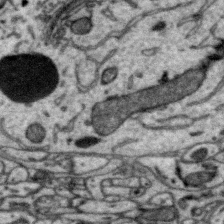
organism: Zebra finch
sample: Brain